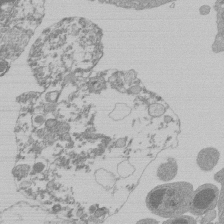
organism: Mouse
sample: Activated Pmel transgenic CD8+ T Cells